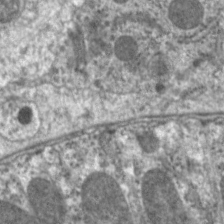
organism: C. elegans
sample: Pharynx